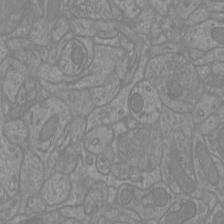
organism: Mouse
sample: Cortical neurons